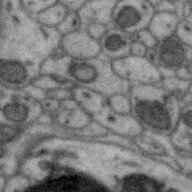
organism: Zebra finch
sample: Brain